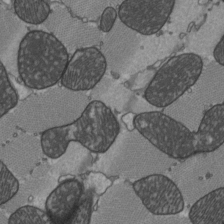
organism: C57BL Mouse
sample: Heart